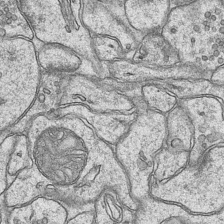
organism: Mouse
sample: CA1 Hippocampus